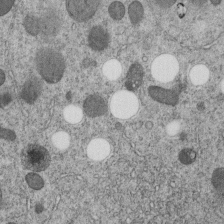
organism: C. elegans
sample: C. elegans embryo early stage